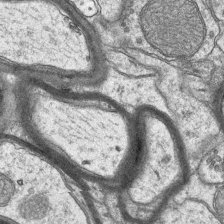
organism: Mouse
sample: CA1 Hippocampus